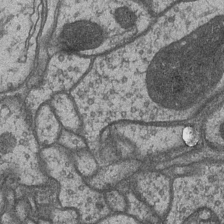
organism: Drosophila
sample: Optic medulla